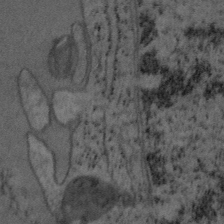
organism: Human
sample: HeLa cells